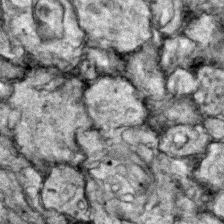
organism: Zebrafish